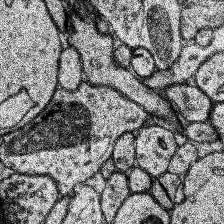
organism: Human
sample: Temporal Lobe